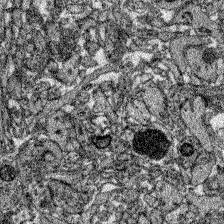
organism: Zebrafish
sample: Larval olfactory bulb